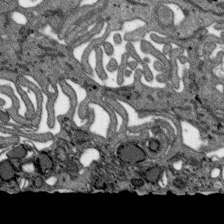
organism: Human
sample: Lung epithelial cells, uninfected (mock) control